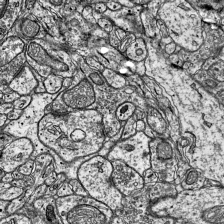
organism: Mouse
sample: Visual Cortex